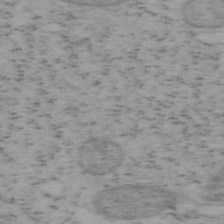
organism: Mouse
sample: OT-I killer T cells with ID8 ovarian cancer cells